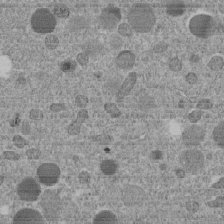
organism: C. elegans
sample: C. elegans embryo early stage